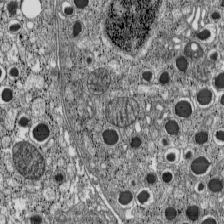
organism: C57BL Mouse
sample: Pancreatic islet